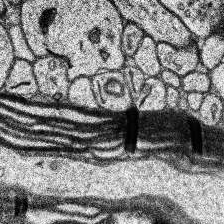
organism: Human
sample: Temporal Lobe